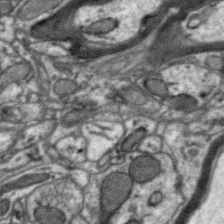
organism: Zebra finch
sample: Brain